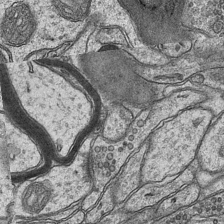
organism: Mouse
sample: CA1 Hippocampus